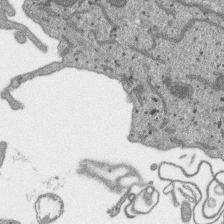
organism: Human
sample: Lung epithelial cells infected with SARS-CoV-2